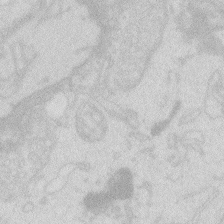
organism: Zebrafish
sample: Macrophage